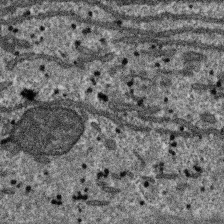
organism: Human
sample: Lung epithelial cells infected with SARS-CoV-2